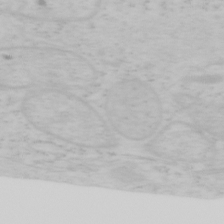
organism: Mouse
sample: OT-I killer T cells with ID8 ovarian cancer cells